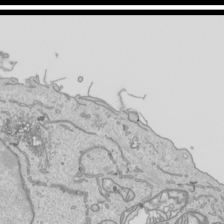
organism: Human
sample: Mitochondria in HCT116 cells